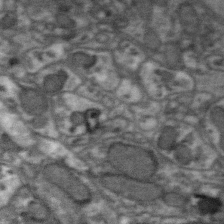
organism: Zebra finch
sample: Brain